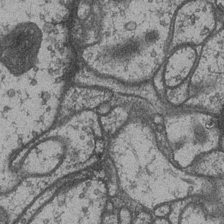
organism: Drosophila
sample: Optic medulla